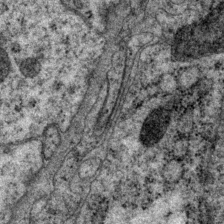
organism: P. pacificus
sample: Pharynx